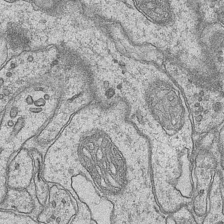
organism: Mouse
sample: CA1 Hippocampus